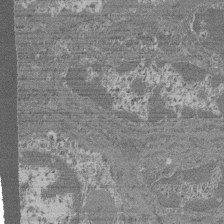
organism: Mouse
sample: Glomerulus